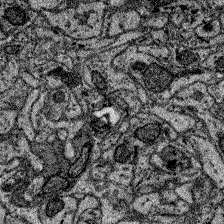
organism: Zebrafish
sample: Larval olfactory bulb